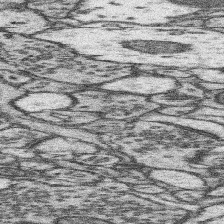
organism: Mouse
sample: Somatosensory cortex neuropil